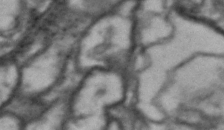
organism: Drosophila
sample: Brain